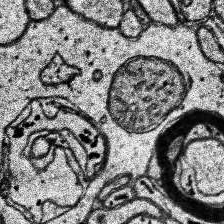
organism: Human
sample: Temporal Lobe